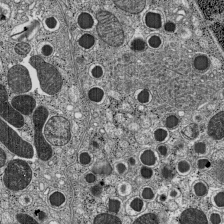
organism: C57BL Mouse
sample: Pancreatic islet